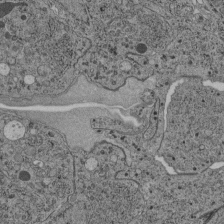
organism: C. elegans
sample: C. elegans pharynx